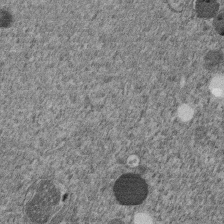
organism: C. elegans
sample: C. elegans embryo early stage